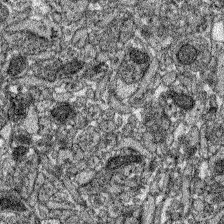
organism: Zebrafish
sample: Larval olfactory bulb